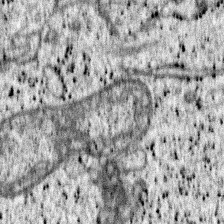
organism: Human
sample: HeLa cells